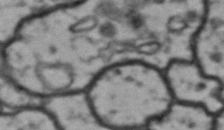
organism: Drosophila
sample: Brain